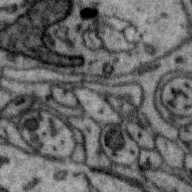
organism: Zebra finch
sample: Brain